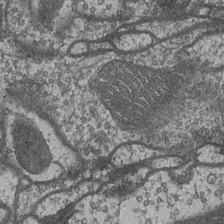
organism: Drosophila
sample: Optic medulla